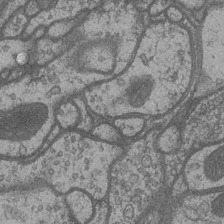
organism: Drosophila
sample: Optic medulla